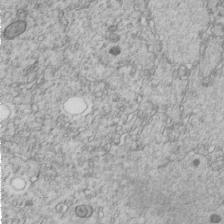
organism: C. elegans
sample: C. elegans embryo early stage